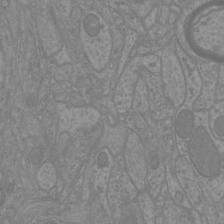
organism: Mouse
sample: Cortical neurons